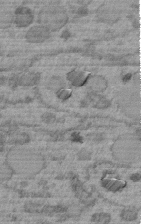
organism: C. elegans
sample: C. elegans embryo early stage